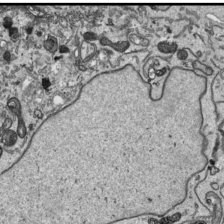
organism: Human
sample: Mitochondria in HCT116 cells